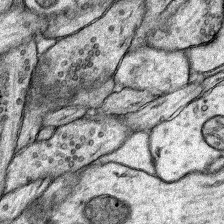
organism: Rat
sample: Hippocampus